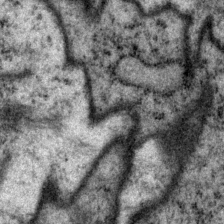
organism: P. pacificus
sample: Pharynx